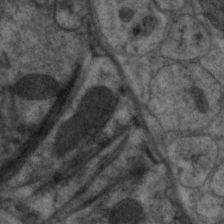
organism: C. elegans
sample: Pharynx